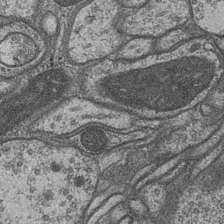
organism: Drosophila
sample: Optic medulla